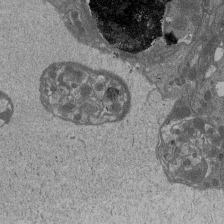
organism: Drosophila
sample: Antenna